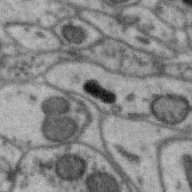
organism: Zebra finch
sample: Brain